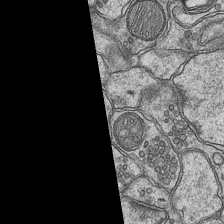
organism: Mouse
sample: CA1 Hippocampus